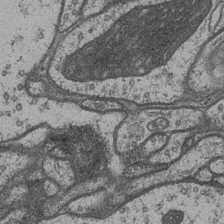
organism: Drosophila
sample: Optic medulla